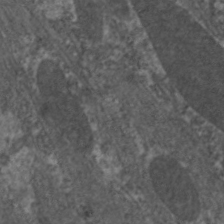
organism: C. elegans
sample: Pharynx